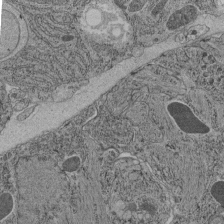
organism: C. elegans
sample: C. elegans pharynx